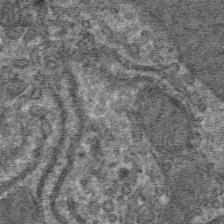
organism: Mouse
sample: Mouse hepatocytes